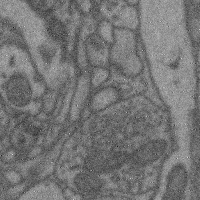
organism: Mouse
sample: Cerebral cortex